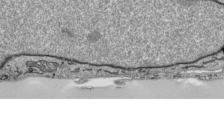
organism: Human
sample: Mitochondria in HCT116 cells